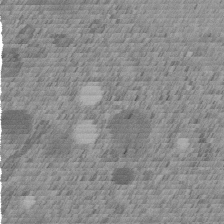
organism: C. elegans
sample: C. elegans embryo early stage